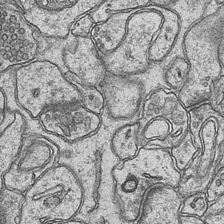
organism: Mouse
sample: CA1 Hippocampus